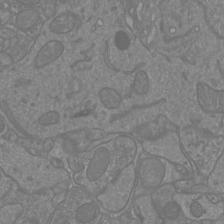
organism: Mouse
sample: Cortical neurons